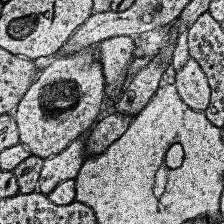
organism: Human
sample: Temporal Lobe